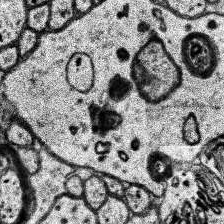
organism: Human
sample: Temporal Lobe